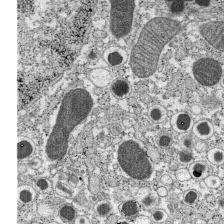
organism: C57BL Mouse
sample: Pancreatic islet